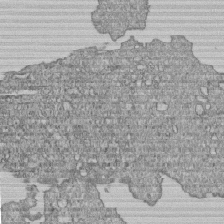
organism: Human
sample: MDA-MB-231 cells